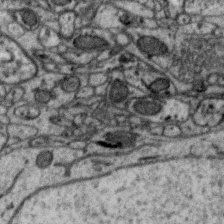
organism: Zebra finch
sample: Brain